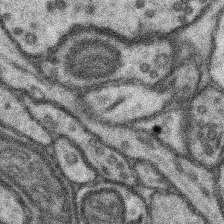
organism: Mouse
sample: Somatosensory cortex neuropil